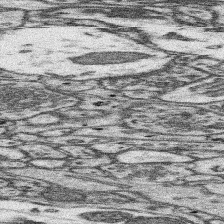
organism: Mouse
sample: Somatosensory cortex neuropil